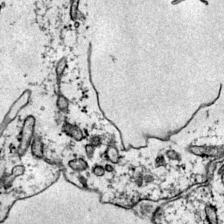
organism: Mouse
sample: Primary visual cortex